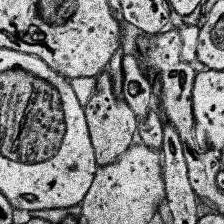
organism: Human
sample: Temporal Lobe